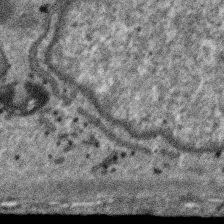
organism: Human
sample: Lung epithelial cells infected with SARS-CoV-2